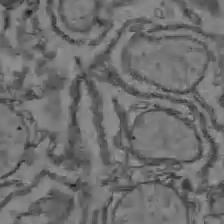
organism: C57BL Mouse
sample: Liver